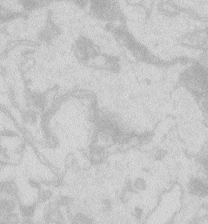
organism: Zebrafish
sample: Macrophage